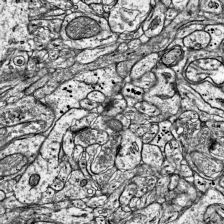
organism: Mouse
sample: Visual Cortex